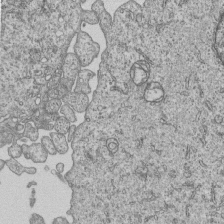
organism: Human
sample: MDA-MB-231 cells